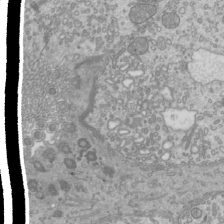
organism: Mouse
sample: Cilia; mouse epididymis